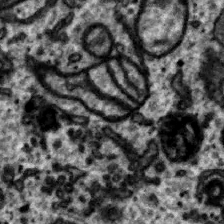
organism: Human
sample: HeLa cells